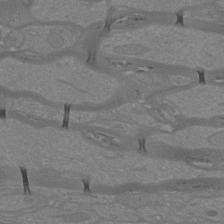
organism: Mouse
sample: Cortical neurons